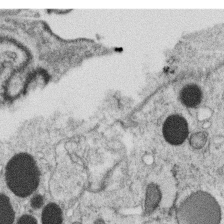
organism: C. elegans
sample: C. elegans oocyte; sperm cells